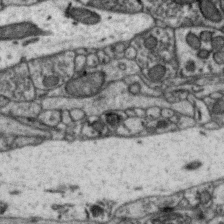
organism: Zebra finch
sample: Brain